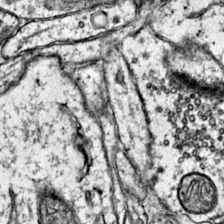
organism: Mouse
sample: Primary visual cortex